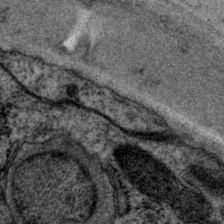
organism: P. pacificus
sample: Pharynx